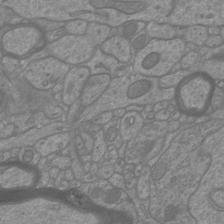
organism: Mouse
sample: Cortical neurons